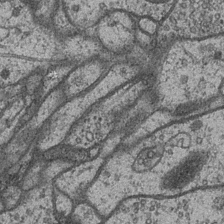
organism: Drosophila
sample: Optic medulla